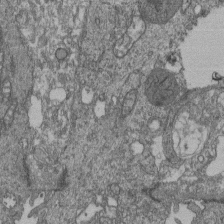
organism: Human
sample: Retinal organoid Rod and Cone cells